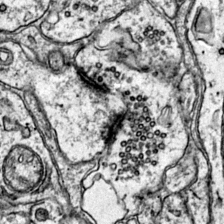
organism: Mouse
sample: Primary visual cortex